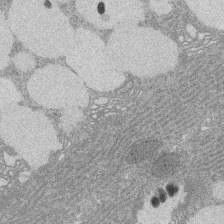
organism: Rat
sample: Salivary granule